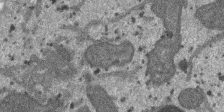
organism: Human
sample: Lung epithelial cells infected with SARS-CoV-2